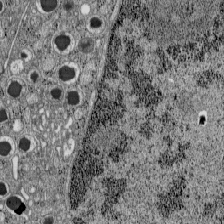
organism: C57BL Mouse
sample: Pancreatic islet